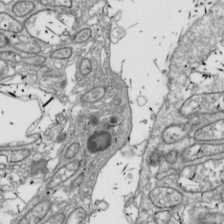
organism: Drosophila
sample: Cell division; meiosis; drosophila spermatocytes